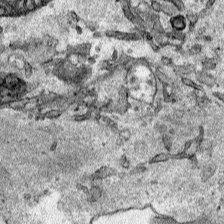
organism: Human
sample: Mitochondria in HCT116 cells